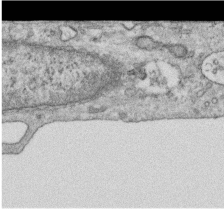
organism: Human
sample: Centriole in RPE cells